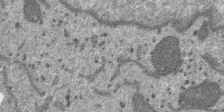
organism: Human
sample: Lung epithelial cells infected with SARS-CoV-2